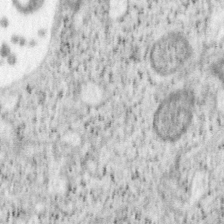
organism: Mouse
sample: OT-I killer T cells with ID8 ovarian cancer cells